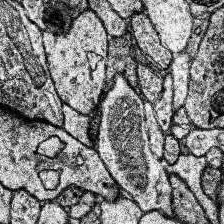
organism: Human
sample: Temporal Lobe